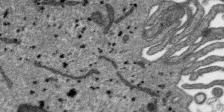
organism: Human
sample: Lung epithelial cells, uninfected (mock) control